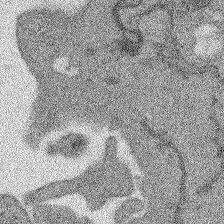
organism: Human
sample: HeLa cells